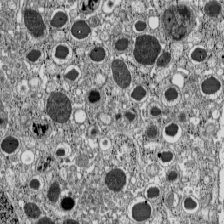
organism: C57BL Mouse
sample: Pancreatic islet